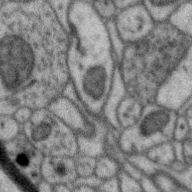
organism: Zebra finch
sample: Brain